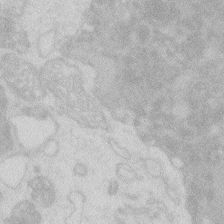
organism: Zebrafish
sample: Macrophage